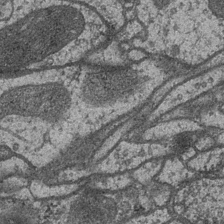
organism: Drosophila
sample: Optic medulla